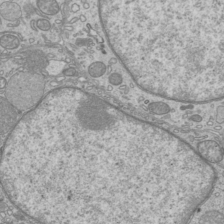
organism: Mouse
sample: Cilia; mouse epididymis